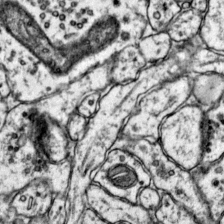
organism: Mouse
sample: Primary visual cortex